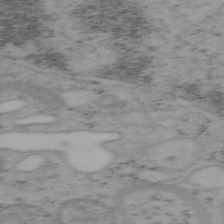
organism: Mouse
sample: OT-I killer T cells with ID8 ovarian cancer cells